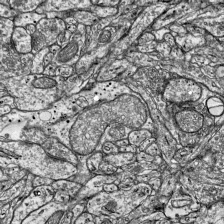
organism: Mouse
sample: Visual Cortex